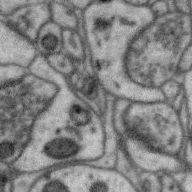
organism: Zebra finch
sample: Brain